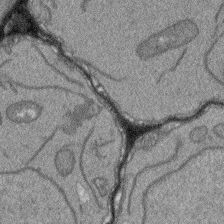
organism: Arabidopsis thaliana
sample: Root tip